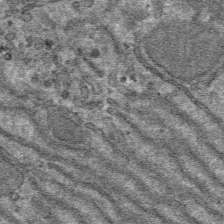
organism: Mouse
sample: Mouse hepatocytes